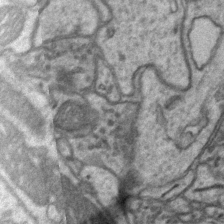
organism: Mouse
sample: CA1 Hippocampus